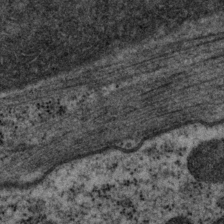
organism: P. pacificus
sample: Pharynx